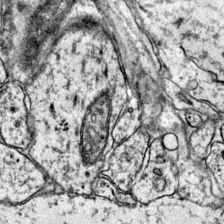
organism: Mouse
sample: Primary visual cortex